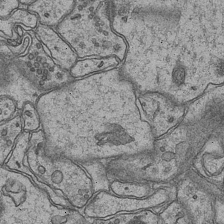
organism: Mouse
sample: CA1 Hippocampus